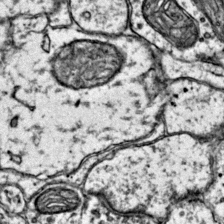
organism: Mouse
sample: Primary visual cortex